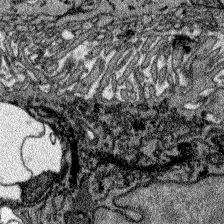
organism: Zebrafish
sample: Larval olfactory bulb